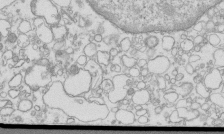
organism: Mouse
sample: Macrophages